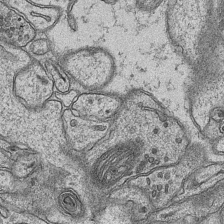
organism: Mouse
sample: CA1 Hippocampus